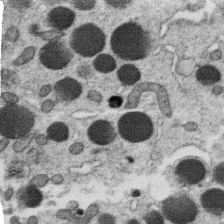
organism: C. elegans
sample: C. elegans oocyte; sperm cells